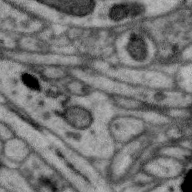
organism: Zebra finch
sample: Brain